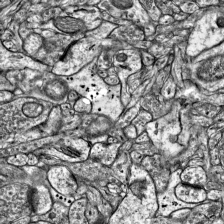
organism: Mouse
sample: Visual Cortex